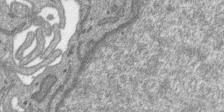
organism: Human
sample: Lung epithelial cells infected with SARS-CoV-2